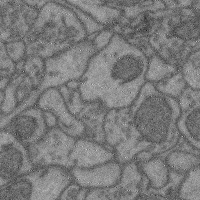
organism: Mouse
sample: Cerebral cortex